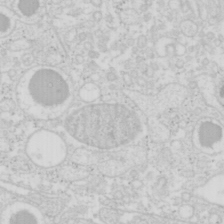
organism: Mouse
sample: Pancreas